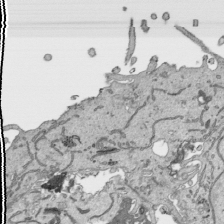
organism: Human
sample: Mitochondria in HCT116 cells